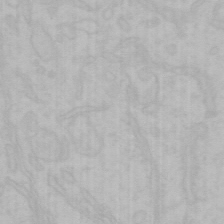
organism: Mouse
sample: Choroid plexus